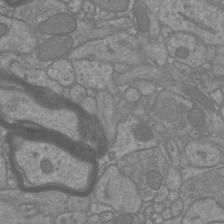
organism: Mouse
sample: Cortical neurons